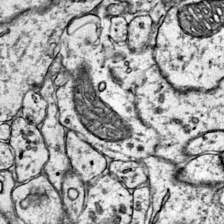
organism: Mouse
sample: Primary visual cortex